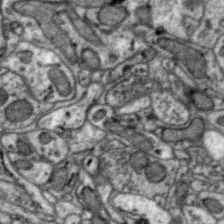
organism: Zebra finch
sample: Brain